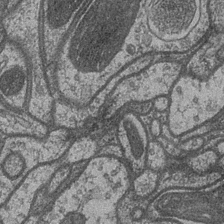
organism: Drosophila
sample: Optic medulla